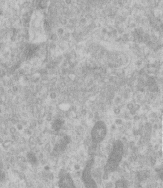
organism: Human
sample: Centriole in RPE cells